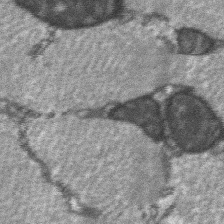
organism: C57BL Mouse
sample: Soleus